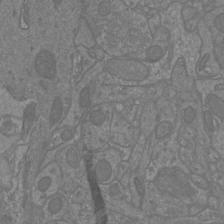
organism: Mouse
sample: Cortical neurons